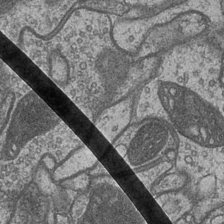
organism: Drosophila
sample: Optic medulla